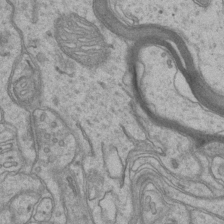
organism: Mouse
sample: CA1 Hippocampus